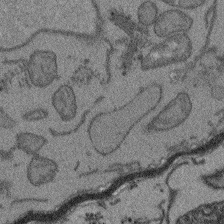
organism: Arabidopsis thaliana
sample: Root tip